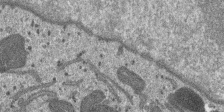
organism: Human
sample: Lung epithelial cells infected with SARS-CoV-2